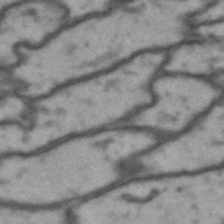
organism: Drosophila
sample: Brain